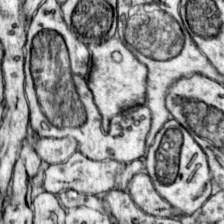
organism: Mouse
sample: Primary visual cortex